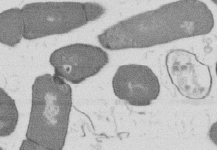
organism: B. subtilis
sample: Bacterial spore